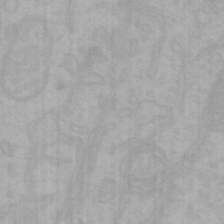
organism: Mouse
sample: Choroid plexus